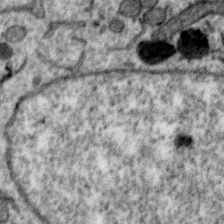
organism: Zebra finch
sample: Brain